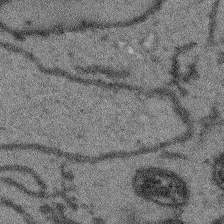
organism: Arabidopsis thaliana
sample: Root tip